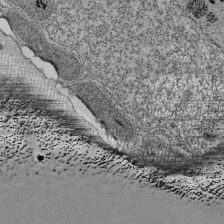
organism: Tetrahymena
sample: Cilia in tetrahymena